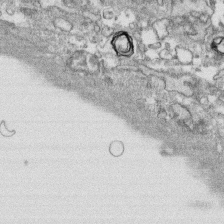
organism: Human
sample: CRL-1474